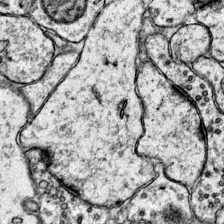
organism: Mouse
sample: Primary visual cortex